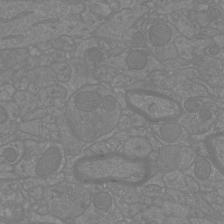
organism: Mouse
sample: Cortical neurons